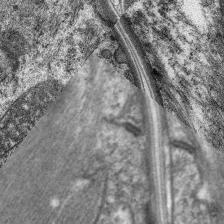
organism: C. elegans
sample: Pharynx